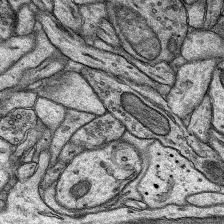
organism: Rat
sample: Hippocampus